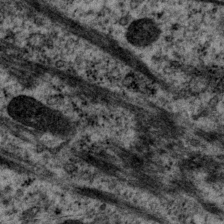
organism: P. pacificus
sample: Pharynx